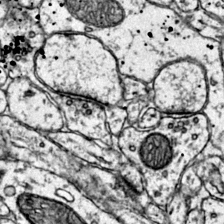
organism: Mouse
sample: Primary visual cortex